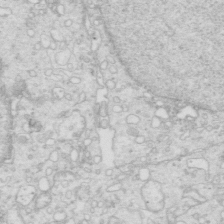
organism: Mouse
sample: Multiciliated cells